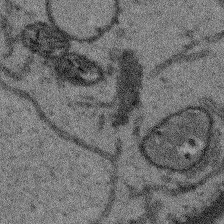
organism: Arabidopsis thaliana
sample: Root tip